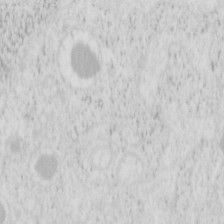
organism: Mouse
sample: Pancreas